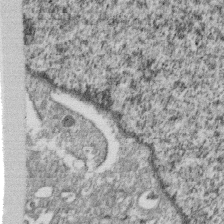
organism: African green monkey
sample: Vero E6 cells infected with SARS-CoV-2